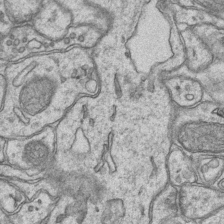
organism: Mouse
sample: CA1 Hippocampus